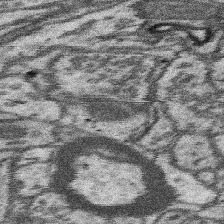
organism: Mouse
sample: Somatosensory cortex neuropil